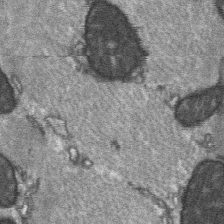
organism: C57BL Mouse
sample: Soleus